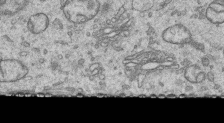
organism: Human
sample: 1205lu cells